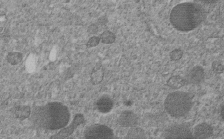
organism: C. elegans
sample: C. elegans embryo early stage